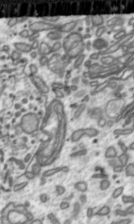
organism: Toxoplasma gondii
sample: Parasites in a vacuole inside a host cell